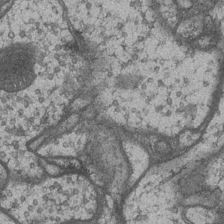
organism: Drosophila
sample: Optic medulla